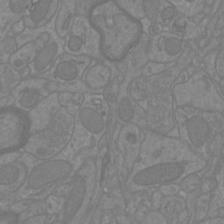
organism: Mouse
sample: Cortical neurons